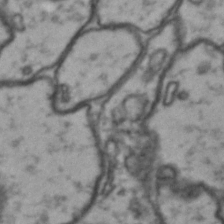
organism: Drosophila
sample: Brain